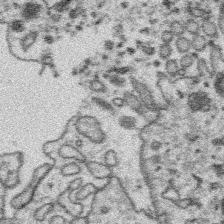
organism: Platynereis dumerilii